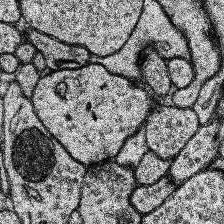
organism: Human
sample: Temporal Lobe